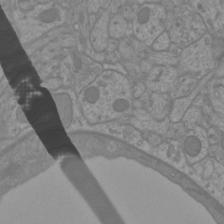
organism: Mouse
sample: Cortical neurons